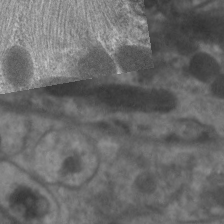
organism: C. elegans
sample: Pharynx